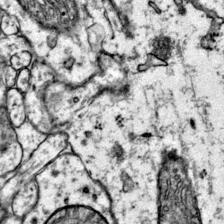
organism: Mouse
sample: Primary visual cortex